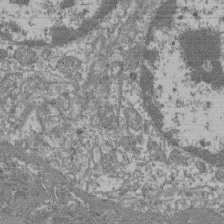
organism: Mouse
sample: Glomerulus